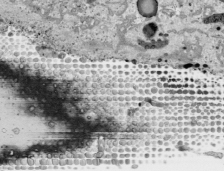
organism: Human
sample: Mitochondria in HCT116 cells